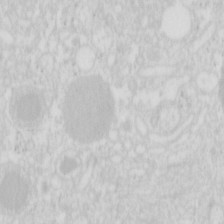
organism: Mouse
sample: Pancreas